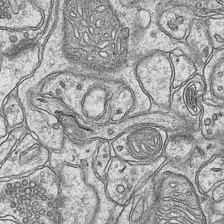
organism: Mouse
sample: CA1 Hippocampus